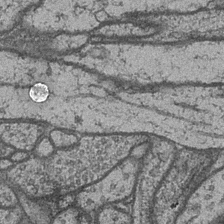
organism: Drosophila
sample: Optic medulla